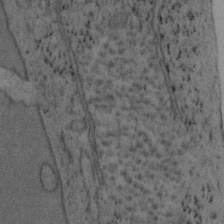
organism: Human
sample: HeLa cells